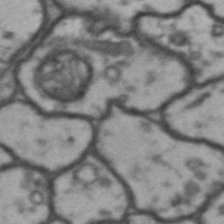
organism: Drosophila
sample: Brain